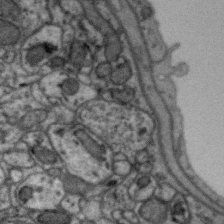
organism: Zebra finch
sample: Brain